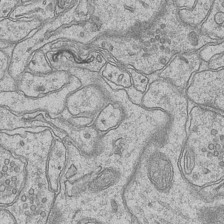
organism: Mouse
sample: CA1 Hippocampus